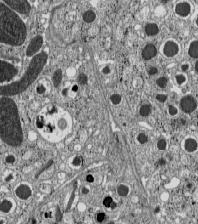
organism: C57BL Mouse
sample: Pancreatic islet